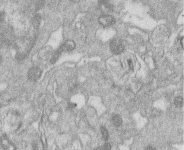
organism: Human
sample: Macrophage cells